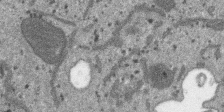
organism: Human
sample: Lung epithelial cells infected with SARS-CoV-2